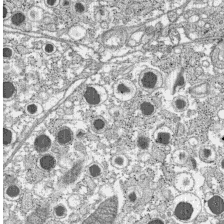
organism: C57BL Mouse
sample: Pancreatic islet